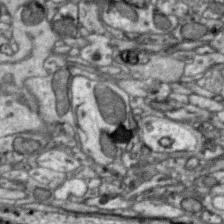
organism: Zebra finch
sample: Brain